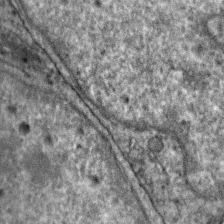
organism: Zebra finch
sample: Brain